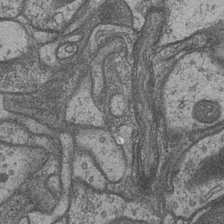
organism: Drosophila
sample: Optic medulla